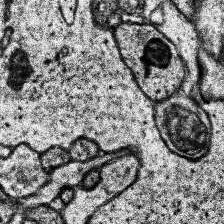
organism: Human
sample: Temporal Lobe